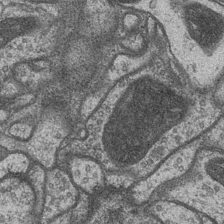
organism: Drosophila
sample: Optic medulla